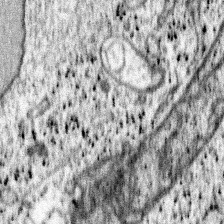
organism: Human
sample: HeLa cells